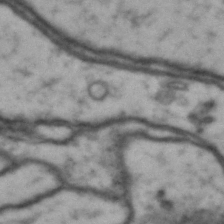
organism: Drosophila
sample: Brain